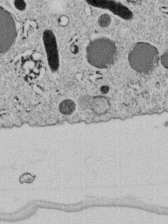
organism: C. elegans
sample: C. elegans embryo early stage